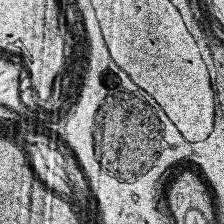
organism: Human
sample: Temporal Lobe